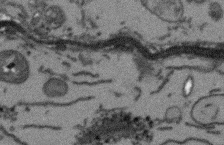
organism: Arabidopsis thaliana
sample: Root tip